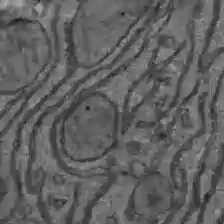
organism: C57BL Mouse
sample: Liver